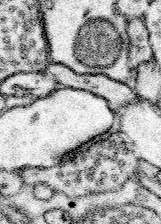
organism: Mouse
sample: Somatosensory cortex neuropil